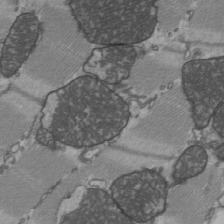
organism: C57BL Mouse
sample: Heart